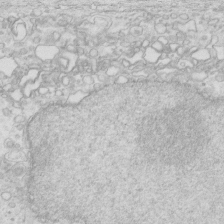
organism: Mouse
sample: Multiciliated cells